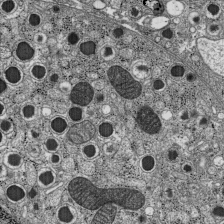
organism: C57BL Mouse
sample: Pancreatic islet